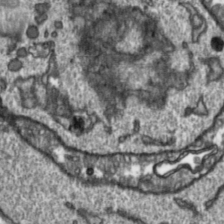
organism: Toxoplasma gondii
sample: Parasites in a vacuole inside a host cell